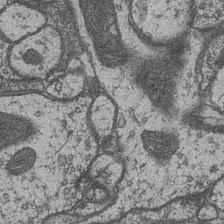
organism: Drosophila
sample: Optic medulla